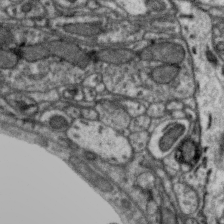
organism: Zebra finch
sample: Brain